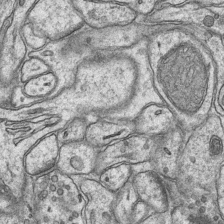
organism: Mouse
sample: CA1 Hippocampus